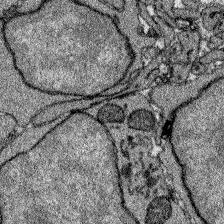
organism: Zebrafish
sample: Larval olfactory bulb